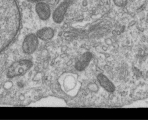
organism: Human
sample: Centriole in RPE cells